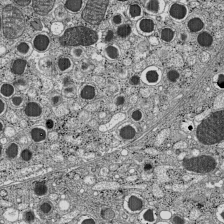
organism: C57BL Mouse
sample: Pancreatic islet